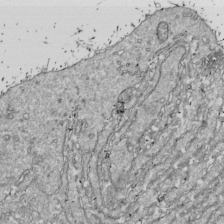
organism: Drosophila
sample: Cell division; meiosis; drosophila spermatocytes